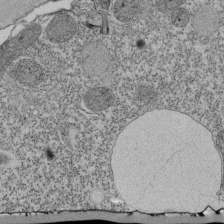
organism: Tetrahymena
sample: Cilia in tetrahymena